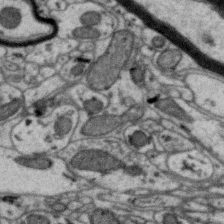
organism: Zebra finch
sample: Brain